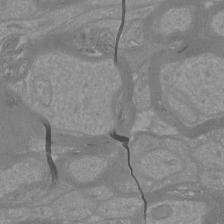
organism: Mouse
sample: Cortical neurons